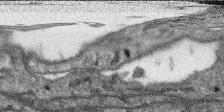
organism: Human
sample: Lung epithelial cells infected with SARS-CoV-2